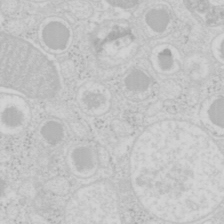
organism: Mouse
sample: Pancreas